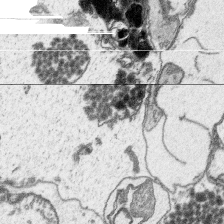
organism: Platynereis dumerilii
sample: Parapodia